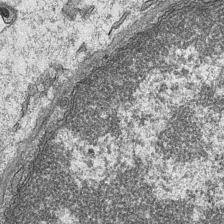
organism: Mouse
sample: CA1 Hippocampus